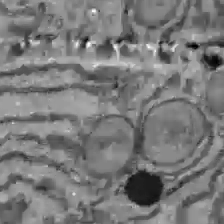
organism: C57BL Mouse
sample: Liver